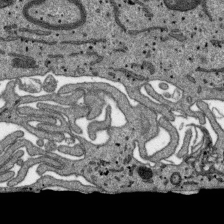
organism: Human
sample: Lung epithelial cells, uninfected (mock) control